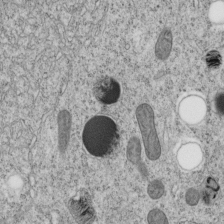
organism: C. elegans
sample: C. elegans embryo early stage